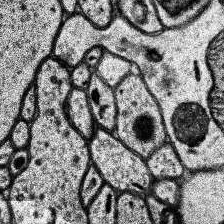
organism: Human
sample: Temporal Lobe